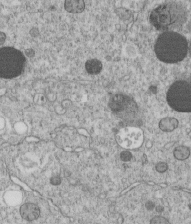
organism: C. elegans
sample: C. elegans embryo early stage